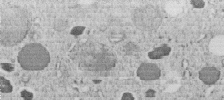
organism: C. elegans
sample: C. elegans embryo early stage